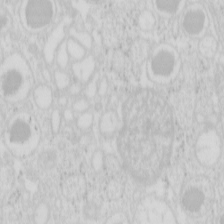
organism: Mouse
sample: Pancreas